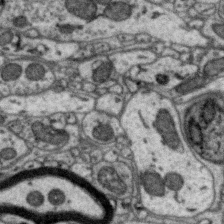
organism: Zebra finch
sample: Brain